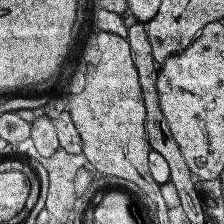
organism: Human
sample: Temporal Lobe